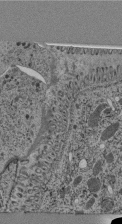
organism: C. elegans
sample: C. elegans pharynx